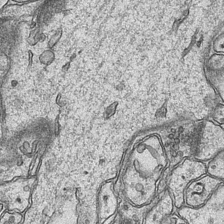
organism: Mouse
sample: CA1 Hippocampus